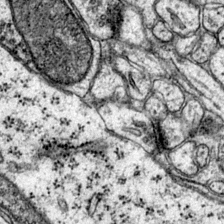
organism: Mouse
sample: Primary visual cortex